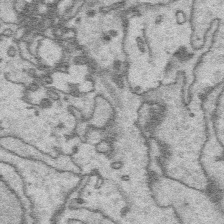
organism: Platynereis dumerilii